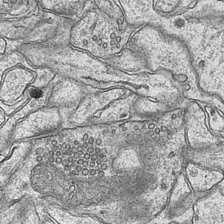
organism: Mouse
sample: CA1 Hippocampus